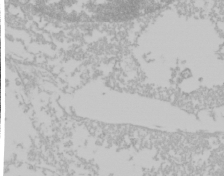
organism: Mouse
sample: Cancer cell death in ED-1 cells